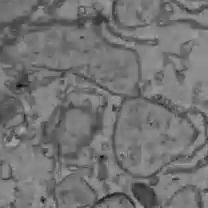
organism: C57BL Mouse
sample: Liver